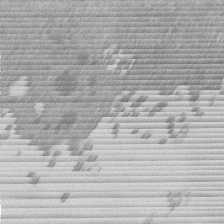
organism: Mouse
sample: Dividing mouse embryo 1 cell stage